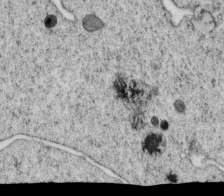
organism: C. elegans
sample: C. elegans oocyte; sperm cells